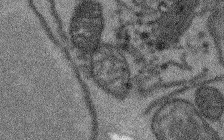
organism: Arabidopsis thaliana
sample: Root tip